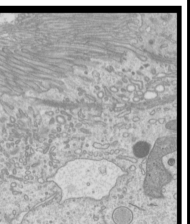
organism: Mouse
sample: Cilia; mouse epididymis